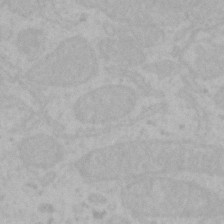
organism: Mouse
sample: Choroid plexus